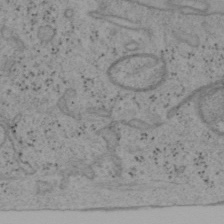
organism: Human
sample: HeLa cells